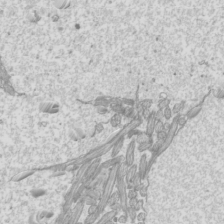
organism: Mouse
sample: Cilia; mouse epididymis